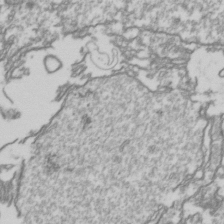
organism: Drosophila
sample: Cell division; meiosis; drosophila spermatocytes